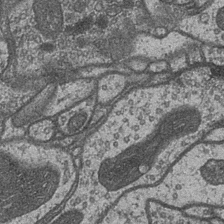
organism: Drosophila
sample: Optic medulla